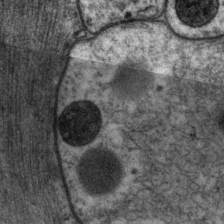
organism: P. pacificus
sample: Pharynx